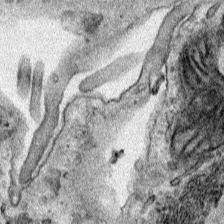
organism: Human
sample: Mitochondria in HCT116 cells